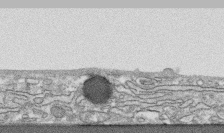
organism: Human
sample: CRL-1474